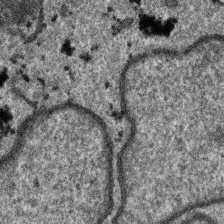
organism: Human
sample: Lung epithelial cells infected with SARS-CoV-2